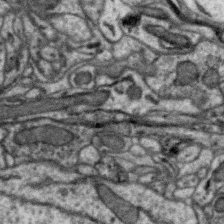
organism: Zebra finch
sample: Brain